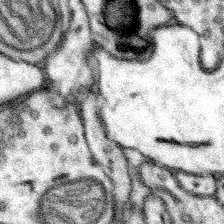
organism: Mouse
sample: Somatosensory cortex neuropil